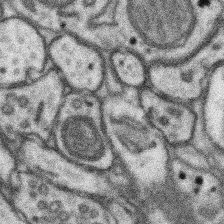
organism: Mouse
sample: Somatosensory cortex neuropil